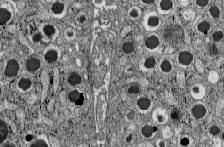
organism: C57BL Mouse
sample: Pancreatic islet